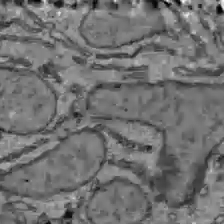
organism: C57BL Mouse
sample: Liver